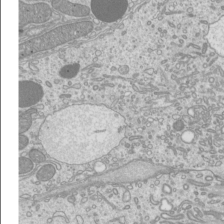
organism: Mouse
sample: Cilia; mouse epididymis